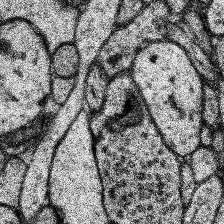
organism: Human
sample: Temporal Lobe